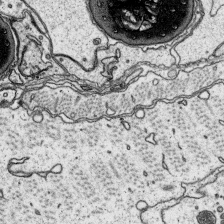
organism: Platynereis dumerilii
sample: Parapodia